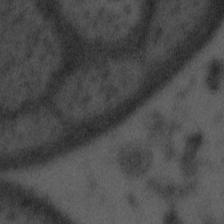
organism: Tuwongella immobilis